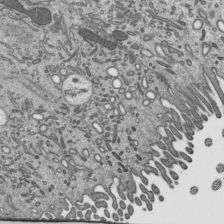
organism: Mouse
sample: Mouse epididymis efferent ductule cilia